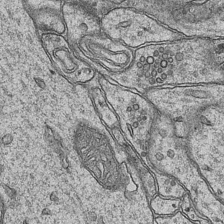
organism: Mouse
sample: CA1 Hippocampus